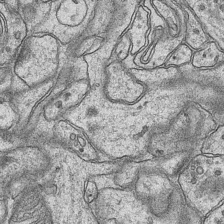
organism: Mouse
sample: CA1 Hippocampus